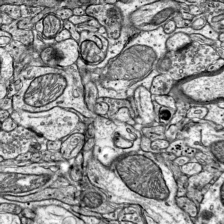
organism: Mouse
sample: Visual Cortex